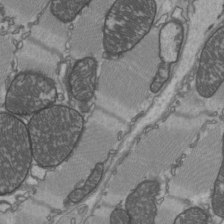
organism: C57BL Mouse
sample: Heart